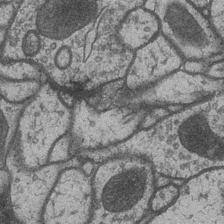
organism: Drosophila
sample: Optic medulla